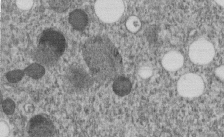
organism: C. elegans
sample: C. elegans embryo early stage